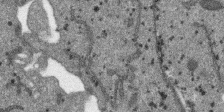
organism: Human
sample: Lung epithelial cells infected with SARS-CoV-2